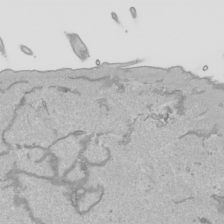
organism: Human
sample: Mitochondria in HCT116 cells